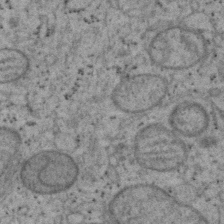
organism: Human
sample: HeLa cells